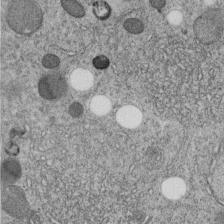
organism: C. elegans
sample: C. elegans embryo early stage